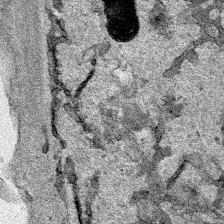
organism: Human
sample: Mitochondria in HCT116 cells